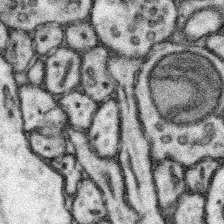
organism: Mouse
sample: Somatosensory cortex neuropil